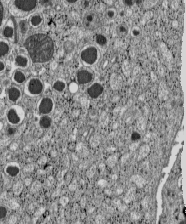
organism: C57BL Mouse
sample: Pancreatic islet